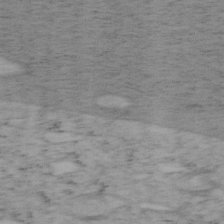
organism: Mouse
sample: OT-I killer T cells with ID8 ovarian cancer cells